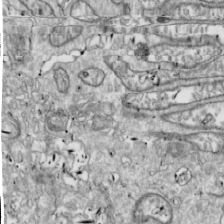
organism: Drosophila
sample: Cell division; meiosis; drosophila spermatocytes